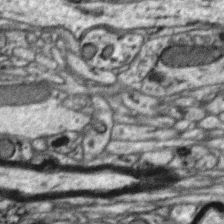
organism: Zebra finch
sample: Brain